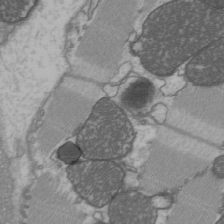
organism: C57BL Mouse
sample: Heart